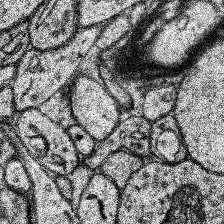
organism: Human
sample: Temporal Lobe